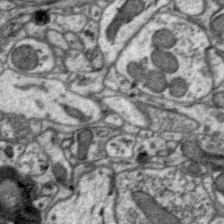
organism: Zebra finch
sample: Brain